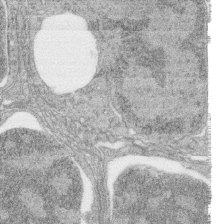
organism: Zebrafish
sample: synaptic ribbons in rod cells and cone cells